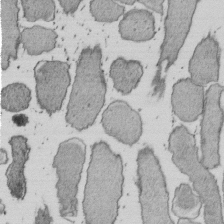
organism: E. coli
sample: Bacterial nucleoid